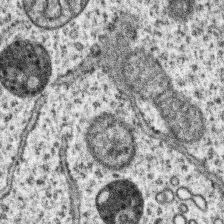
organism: Human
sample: HeLa cells